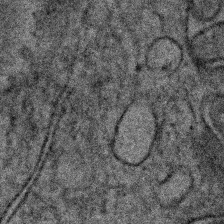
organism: Human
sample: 1205lu cells